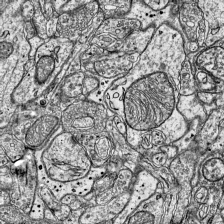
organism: Mouse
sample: Visual Cortex